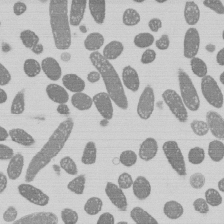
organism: E. coli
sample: Bacterial nucleoid